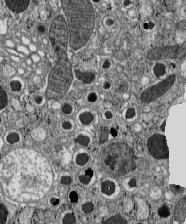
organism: C57BL Mouse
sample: Pancreatic islet